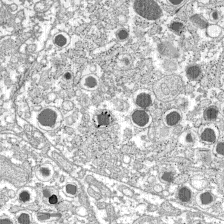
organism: C57BL Mouse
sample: Pancreatic islet